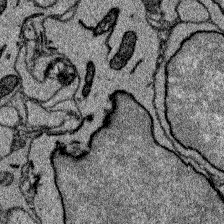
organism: Zebrafish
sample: Larval olfactory bulb